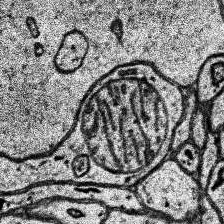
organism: Human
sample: Temporal Lobe